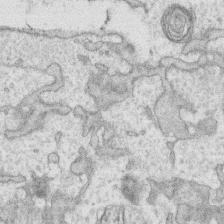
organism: Human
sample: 1205lu cells